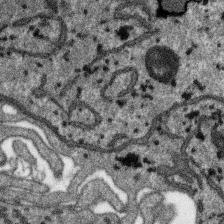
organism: Human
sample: Lung epithelial cells infected with SARS-CoV-2